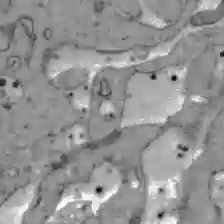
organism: C57BL Mouse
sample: Liver